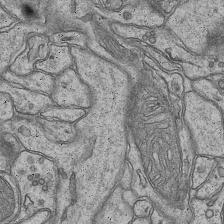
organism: Mouse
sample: CA1 Hippocampus